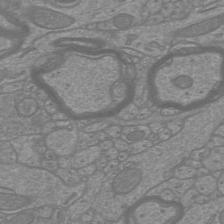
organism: Mouse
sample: Cortical neurons